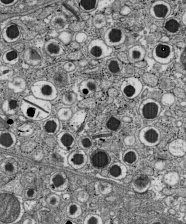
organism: C57BL Mouse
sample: Pancreatic islet